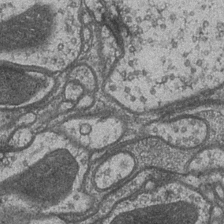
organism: Drosophila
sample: Optic medulla